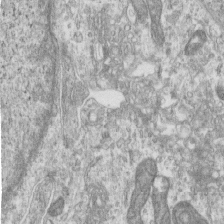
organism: Human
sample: Centriole in RPE cells